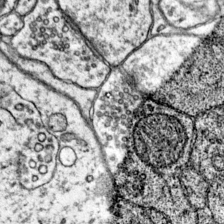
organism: Mouse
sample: Primary visual cortex